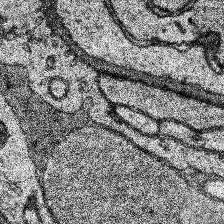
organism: Human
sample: Temporal Lobe